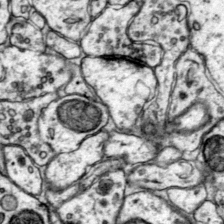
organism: Mouse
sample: Primary visual cortex